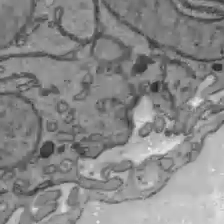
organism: C57BL Mouse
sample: Liver